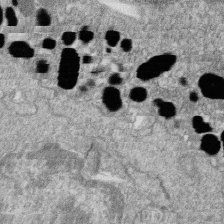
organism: Zebrafish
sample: Cilia; retinal pigment epithelium